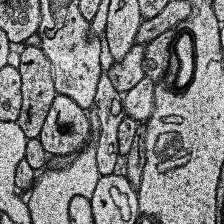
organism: Human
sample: Temporal Lobe